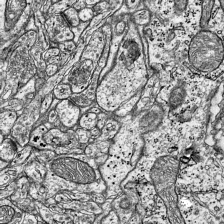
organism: Mouse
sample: Visual Cortex